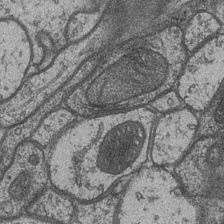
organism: Drosophila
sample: Optic medulla